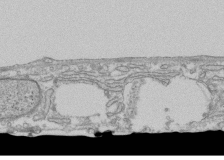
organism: Human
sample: Fibroblast cells